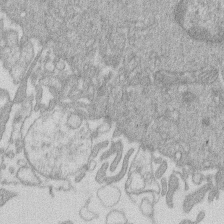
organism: Human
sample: Macrophage cells